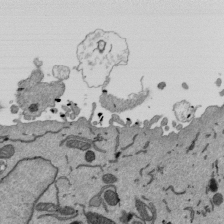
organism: Mouse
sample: ED-1 cell nuclei; centrioles